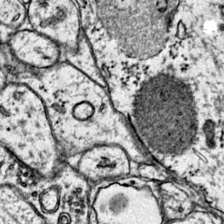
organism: Mouse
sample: Primary visual cortex